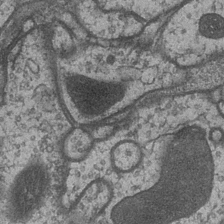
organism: Drosophila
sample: Optic medulla